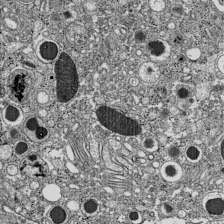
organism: C57BL Mouse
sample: Pancreatic islet